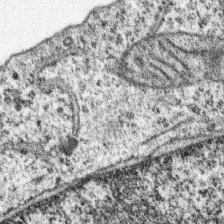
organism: Human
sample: HeLa cells